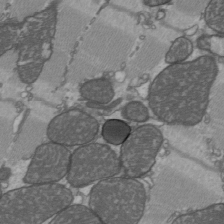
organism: C57BL Mouse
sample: Heart